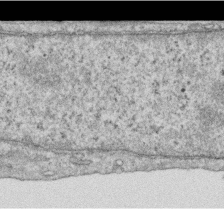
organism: Human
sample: Centriole in RPE cells